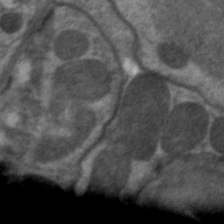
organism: C. elegans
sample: Pharynx